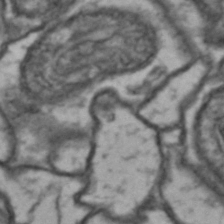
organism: Drosophila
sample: Brain